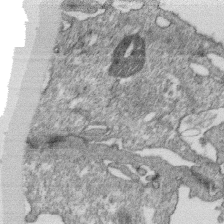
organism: African green monkey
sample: Vero E6 cells infected with SARS-CoV-2